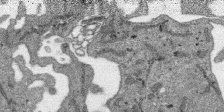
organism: Human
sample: Lung epithelial cells infected with SARS-CoV-2